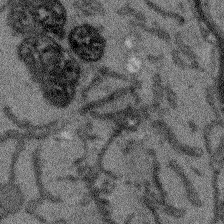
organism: Arabidopsis thaliana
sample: Root tip